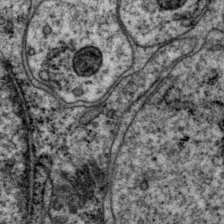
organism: P. pacificus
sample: Pharynx